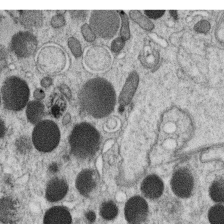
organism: C. elegans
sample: C. elegans oocyte; sperm cells